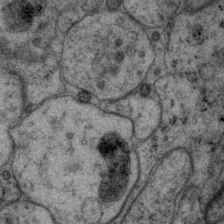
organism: P. pacificus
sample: Pharynx